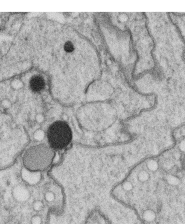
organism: C. elegans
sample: C. elegans oocyte; sperm cells